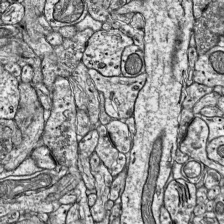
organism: Mouse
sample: Visual Cortex